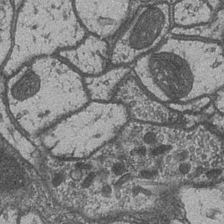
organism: Drosophila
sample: Optic medulla